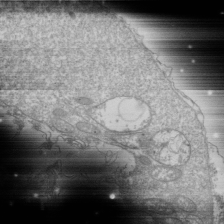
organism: Drosophila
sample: Cell division; meiosis; drosophila spermatocytes